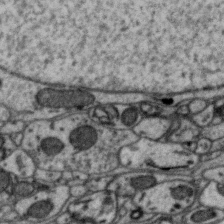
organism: Zebra finch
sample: Brain